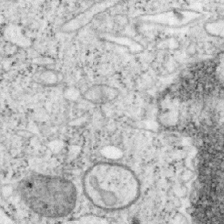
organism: Mouse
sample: OT-I killer T cells with ID8 ovarian cancer cells